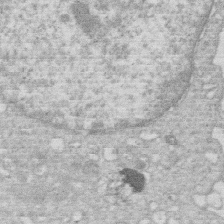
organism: Human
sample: Macrophage cells